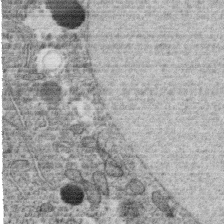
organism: C. elegans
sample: C. elegans oocyte; sperm cells